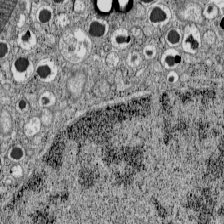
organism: C57BL Mouse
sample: Pancreatic islet